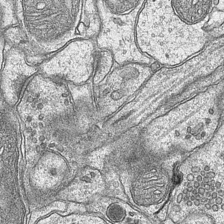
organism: Mouse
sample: CA1 Hippocampus